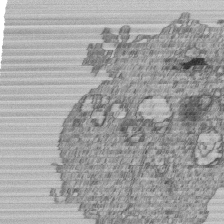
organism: Human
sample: MDA-MB-231 cells